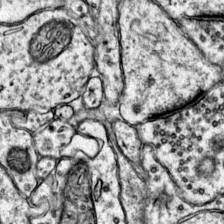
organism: Mouse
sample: Primary visual cortex